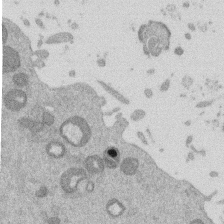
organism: Mouse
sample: Dividing mouse embryo 1 cell stage